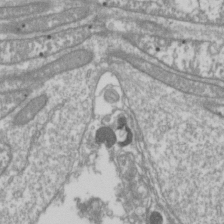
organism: Drosophila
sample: Cell division; meiosis; drosophila spermatocytes